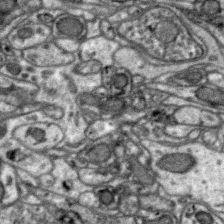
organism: Zebra finch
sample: Brain